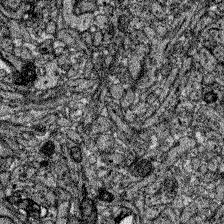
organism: Zebrafish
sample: Larval olfactory bulb